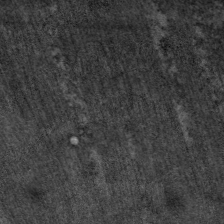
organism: C. elegans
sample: Pharynx